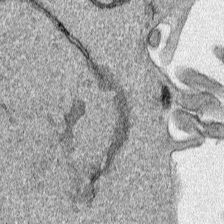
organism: Human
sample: Mitochondria in HCT116 cells